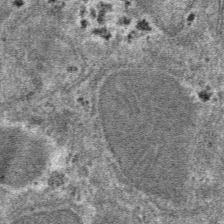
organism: Mouse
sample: Mouse hepatocytes